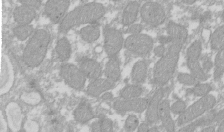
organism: Xenopus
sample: Cilia; centrioles in frog embryo cells